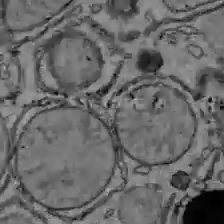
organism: C57BL Mouse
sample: Liver